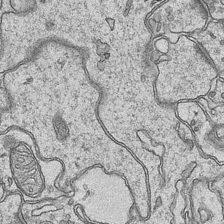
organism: Mouse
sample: CA1 Hippocampus